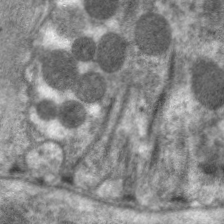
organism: C. elegans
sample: Pharynx